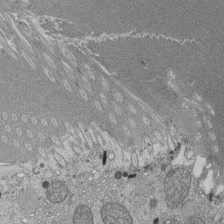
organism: Tetrahymena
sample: Cilia in tetrahymena